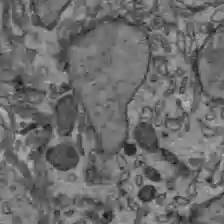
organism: C57BL Mouse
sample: Liver